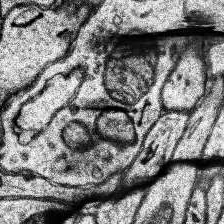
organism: Human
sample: Temporal Lobe